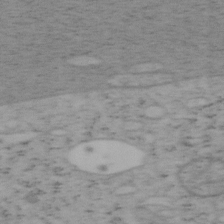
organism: Mouse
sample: OT-I killer T cells with ID8 ovarian cancer cells